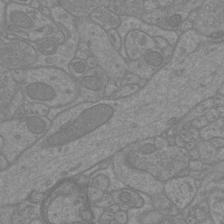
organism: Mouse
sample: Cortical neurons